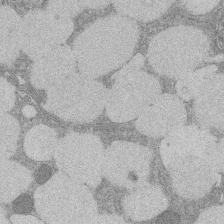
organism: Rat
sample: Salivary granule